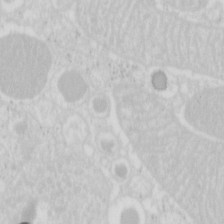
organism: Mouse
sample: Pancreas